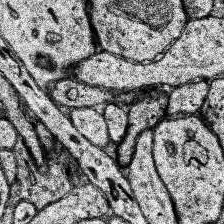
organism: Human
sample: Temporal Lobe